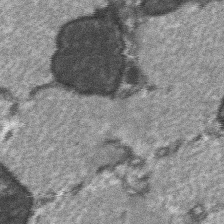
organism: C57BL Mouse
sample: Soleus